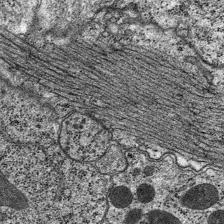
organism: C. elegans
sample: Pharynx